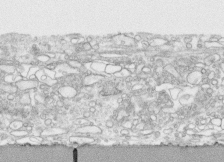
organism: Human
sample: CRL-1474